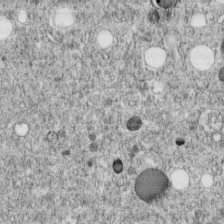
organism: C. elegans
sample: C. elegans embryo early stage